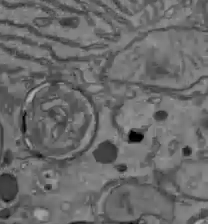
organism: C57BL Mouse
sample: Liver